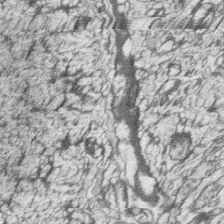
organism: Zebrafish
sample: synaptic ribbons in rod cells and cone cells